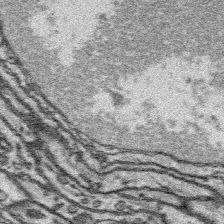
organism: Platynereis dumerilii